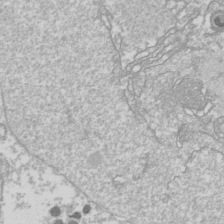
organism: Drosophila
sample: Cell division; meiosis; drosophila spermatocytes